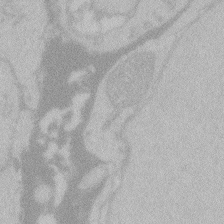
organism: Zebrafish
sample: Macrophage infected with Toxoplasma gondii